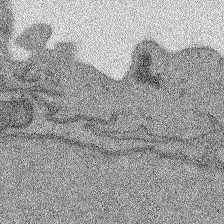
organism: Human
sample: HeLa cells